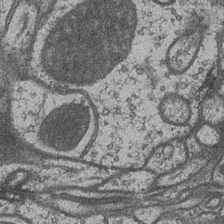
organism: Drosophila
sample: Optic medulla